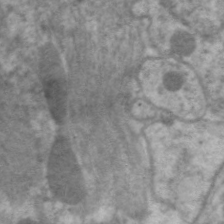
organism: C. elegans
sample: Pharynx